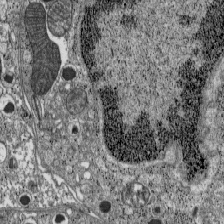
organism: C57BL Mouse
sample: Pancreatic islet